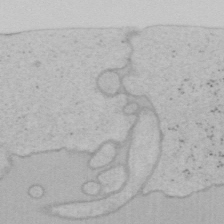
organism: Human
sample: HeLa cells